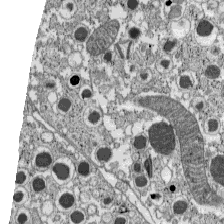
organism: C57BL Mouse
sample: Pancreatic islet